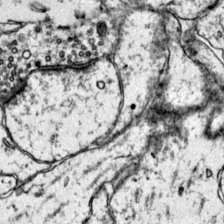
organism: Mouse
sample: Primary visual cortex